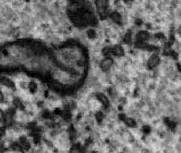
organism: Human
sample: HeLa cells